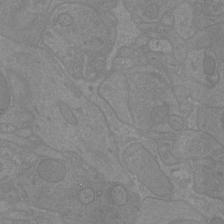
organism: Mouse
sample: Cortical neurons